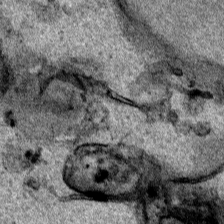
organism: Human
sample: Mitochondria in HCT116 cells